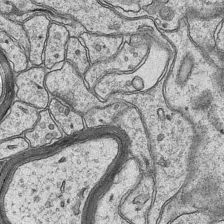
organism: Mouse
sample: CA1 Hippocampus